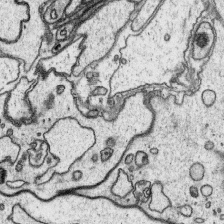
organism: Platynereis dumerilii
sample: Parapodia